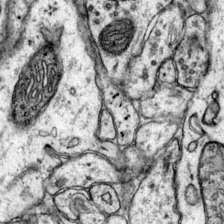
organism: Mouse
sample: Primary visual cortex